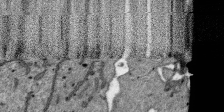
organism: Human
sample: Lung epithelial cells, uninfected (mock) control